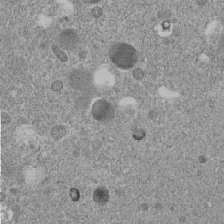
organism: C. elegans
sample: C. elegans embryo early stage